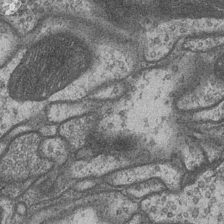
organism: Drosophila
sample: Optic medulla